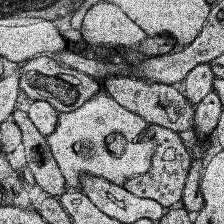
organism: Human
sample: Temporal Lobe